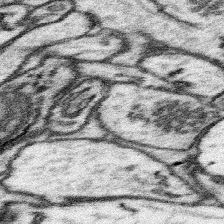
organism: Mouse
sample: Somatosensory cortex neuropil